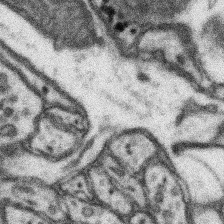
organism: Mouse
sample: Somatosensory cortex neuropil